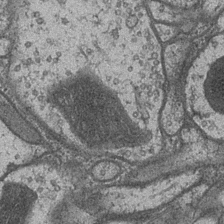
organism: Drosophila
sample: Optic medulla